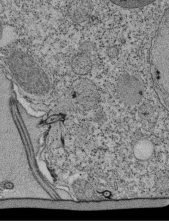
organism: Tetrahymena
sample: Cilia in tetrahymena